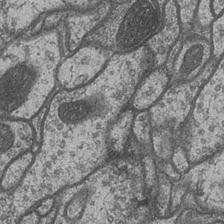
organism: Drosophila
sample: Optic medulla